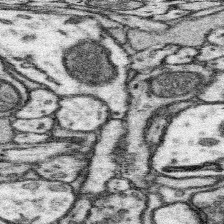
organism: Mouse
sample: Somatosensory cortex neuropil